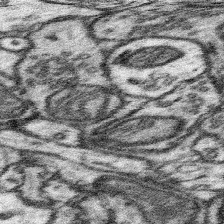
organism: Mouse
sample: Somatosensory cortex neuropil